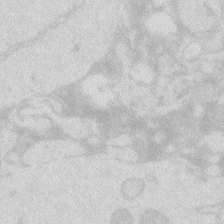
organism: Zebrafish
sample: Macrophage